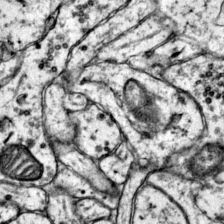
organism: Mouse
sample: Primary visual cortex